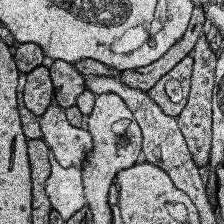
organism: Human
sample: Temporal Lobe